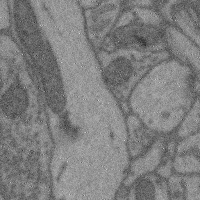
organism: Mouse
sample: Cerebral cortex